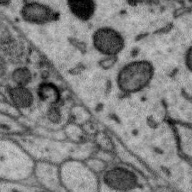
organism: Zebra finch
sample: Brain